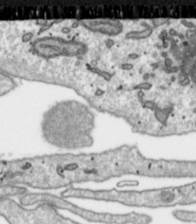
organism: Toxoplasma gondii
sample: Parasites in a vacuole inside a host cell